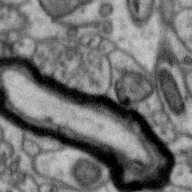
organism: Zebra finch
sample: Brain